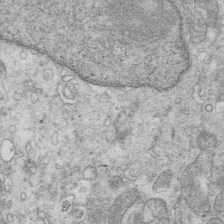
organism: Mouse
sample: Multiciliated cells